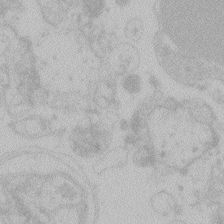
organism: Zebrafish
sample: Macrophage infected with Toxoplasma gondii